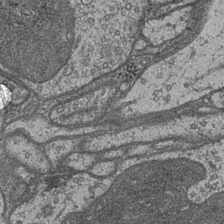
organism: Drosophila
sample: Optic medulla